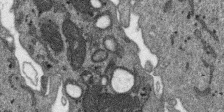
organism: Human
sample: Lung epithelial cells infected with SARS-CoV-2